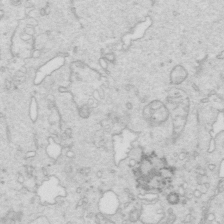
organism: Mouse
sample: Multiciliated cells